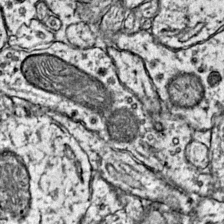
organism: Mouse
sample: Primary visual cortex